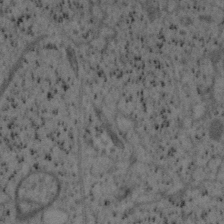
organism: Human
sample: HeLa cells